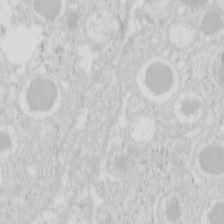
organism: Mouse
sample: Pancreas